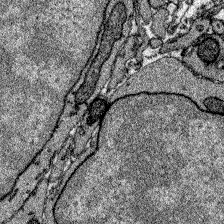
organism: Zebrafish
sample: Larval olfactory bulb